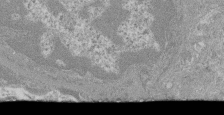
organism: Mouse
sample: Glomerulus